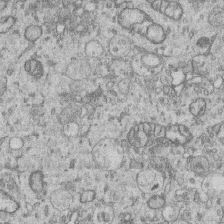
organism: Human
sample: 1205lu cells